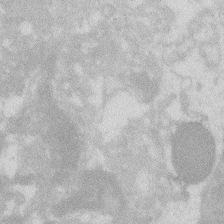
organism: Zebrafish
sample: Macrophage